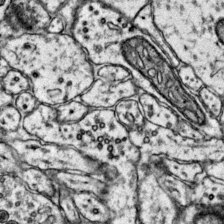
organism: Mouse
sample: Primary visual cortex